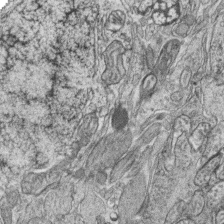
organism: Zebrafish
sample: synaptic ribbons in rod cells and cone cells